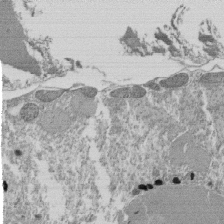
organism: Tetrahymena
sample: Cilia in tetrahymena